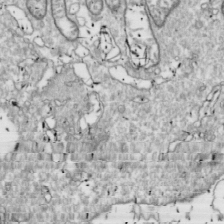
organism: Drosophila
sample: Cell division; meiosis; drosophila spermatocytes